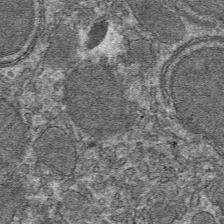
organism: Mouse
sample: Mouse hepatocytes